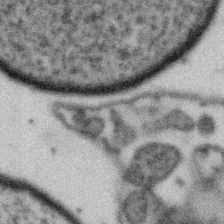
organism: Gemmata obscuriglobus